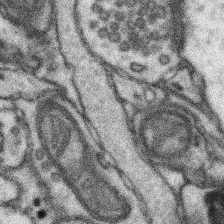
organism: Mouse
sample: Somatosensory cortex neuropil